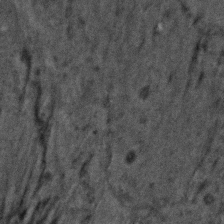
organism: C. elegans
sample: C. elegans embryo